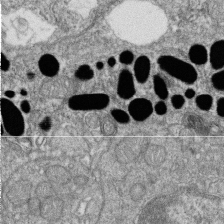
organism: Zebrafish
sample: Cilia; retinal pigment epithelium